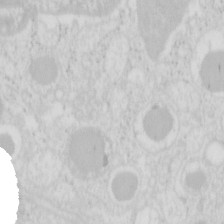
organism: Mouse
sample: Pancreas